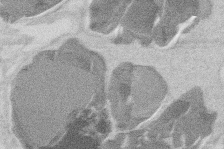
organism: Mouse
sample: T cell stromal cell synapse